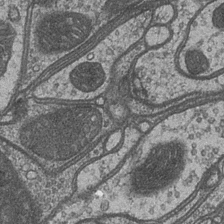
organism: Drosophila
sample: Optic medulla